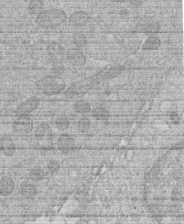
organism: Human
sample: Macrophage cells